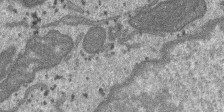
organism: Human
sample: Lung epithelial cells infected with SARS-CoV-2